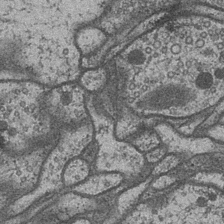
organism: Drosophila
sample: Optic medulla